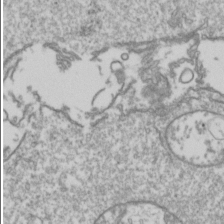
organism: Drosophila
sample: Cell division; meiosis; drosophila spermatocytes